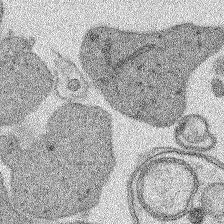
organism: Human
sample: HeLa cells